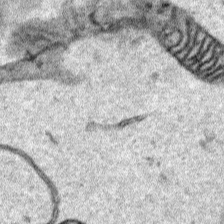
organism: Human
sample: Mitochondria in HCT116 cells